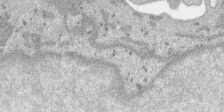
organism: Human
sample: Lung epithelial cells infected with SARS-CoV-2